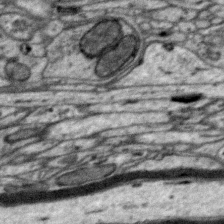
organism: Zebra finch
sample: Brain